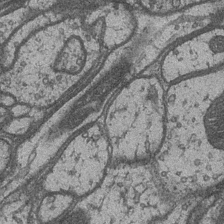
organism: Drosophila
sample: Optic medulla